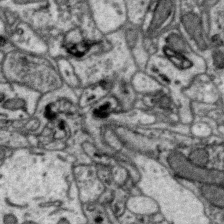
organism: Zebra finch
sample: Brain